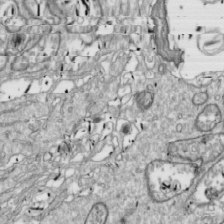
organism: Drosophila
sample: Cell division; meiosis; drosophila spermatocytes